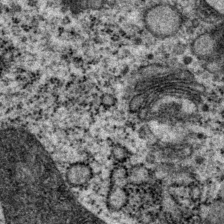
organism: P. pacificus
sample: Pharynx